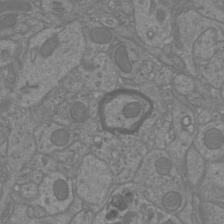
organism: Mouse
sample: Cortical neurons